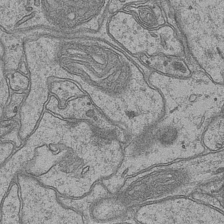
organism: Mouse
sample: CA1 Hippocampus